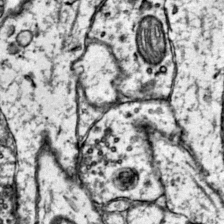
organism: Mouse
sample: Primary visual cortex